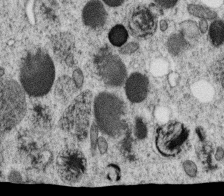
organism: C. elegans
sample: C. elegans oocyte; sperm cells